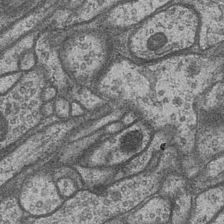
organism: Drosophila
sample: Optic medulla